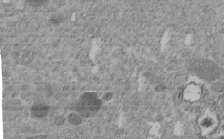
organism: C. elegans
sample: C. elegans embryo early stage